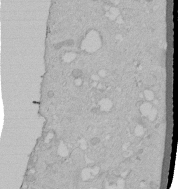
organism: Human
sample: Melanocyte Keratinocyte synapse skin construct